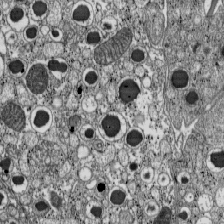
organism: C57BL Mouse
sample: Pancreatic islet